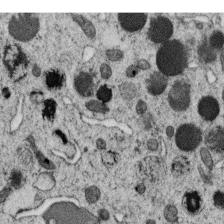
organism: C. elegans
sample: C. elegans oocyte; sperm cells